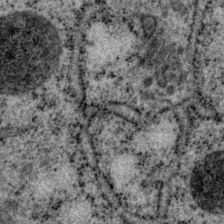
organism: P. pacificus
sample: Pharynx